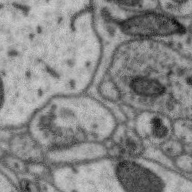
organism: Zebra finch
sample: Brain